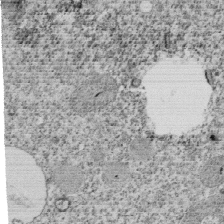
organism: Tetrahymena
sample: Cilia in tetrahymena